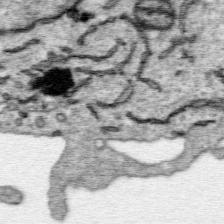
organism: Human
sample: HeLa cells